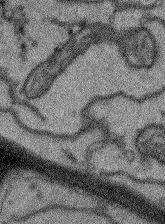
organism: Arabidopsis thaliana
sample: Root tip